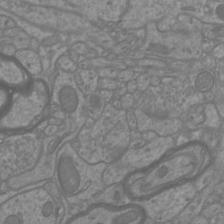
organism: Mouse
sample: Cortical neurons